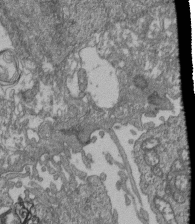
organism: Human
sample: Retinal organoid Rod and Cone cells